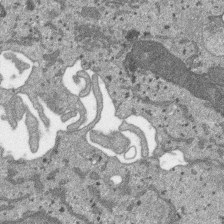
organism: Human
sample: Lung epithelial cells infected with SARS-CoV-2